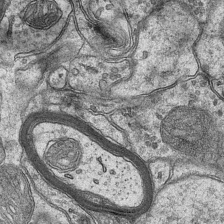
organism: Mouse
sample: CA1 Hippocampus